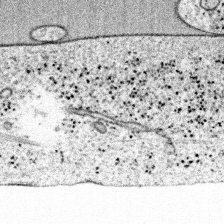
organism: Human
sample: HeLa cells